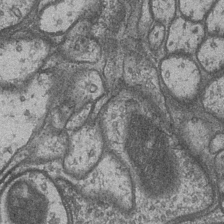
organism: Drosophila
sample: Optic medulla